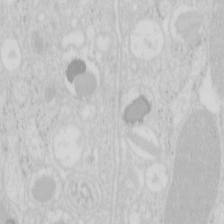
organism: Mouse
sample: Pancreas